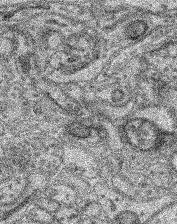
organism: Mouse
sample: Retina